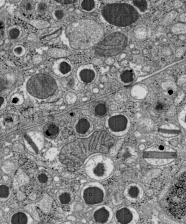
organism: C57BL Mouse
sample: Pancreatic islet